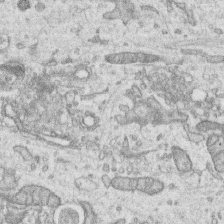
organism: Human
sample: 1205lu cells